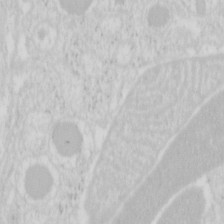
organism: Mouse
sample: Pancreas